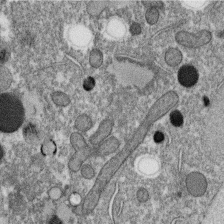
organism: C. elegans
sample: C. elegans oocyte; sperm cells